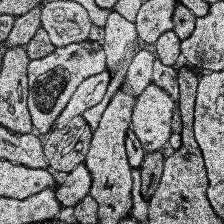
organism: Human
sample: Temporal Lobe